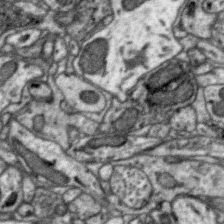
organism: Zebra finch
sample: Brain